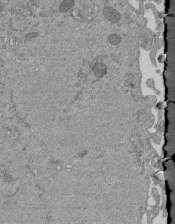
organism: Mouse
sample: ED-1 cell nuclei; centrioles